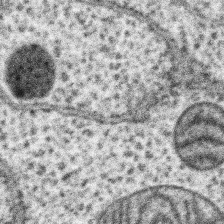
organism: Human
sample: HeLa cells